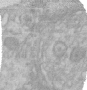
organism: Human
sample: Centriole in RPE cells